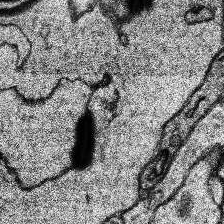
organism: Human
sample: Temporal Lobe